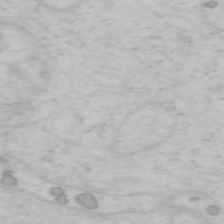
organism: Mouse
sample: OT-I killer T cells with ID8 ovarian cancer cells